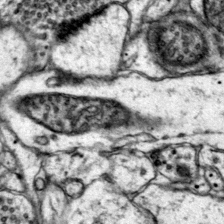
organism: Mouse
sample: Primary visual cortex